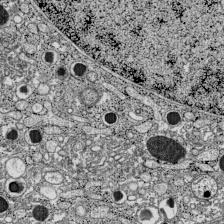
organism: C57BL Mouse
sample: Pancreatic islet